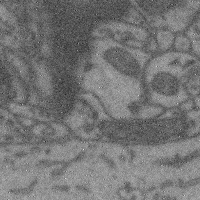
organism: Mouse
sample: Cerebral cortex